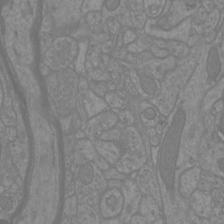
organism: Mouse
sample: Cortical neurons